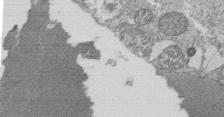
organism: Tetrahymena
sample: Cilia in tetrahymena